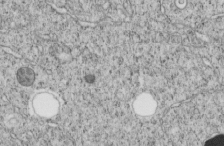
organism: C. elegans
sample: C. elegans embryo early stage